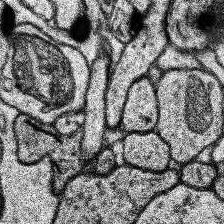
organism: Human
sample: Temporal Lobe